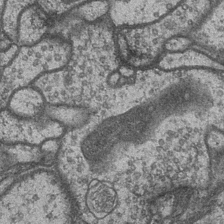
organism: Drosophila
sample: Optic medulla